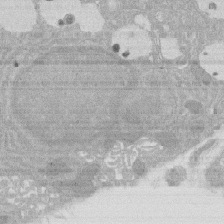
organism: Rat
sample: Salivary granule